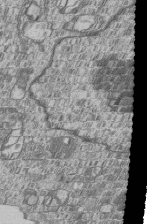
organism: Human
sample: MDA-MB-231 cells